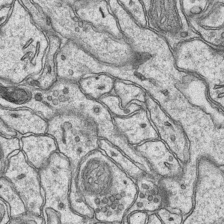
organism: Mouse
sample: CA1 Hippocampus